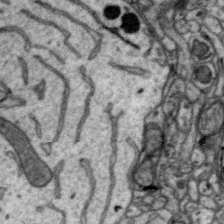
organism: Zebra finch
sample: Brain